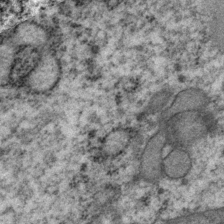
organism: P. pacificus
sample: Pharynx